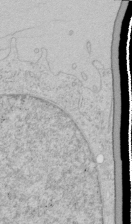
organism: Human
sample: Mitochondria in HCT116 cells